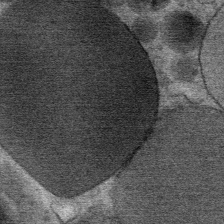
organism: Mouse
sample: Mouse Salivary gland